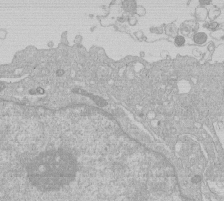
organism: Human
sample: Macrophage cells